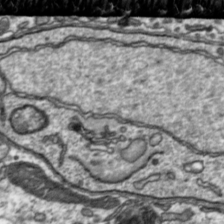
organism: Toxoplasma gondii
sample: Parasites in a vacuole inside a host cell